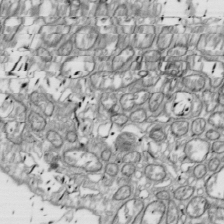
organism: Drosophila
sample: Cell division; meiosis; drosophila spermatocytes